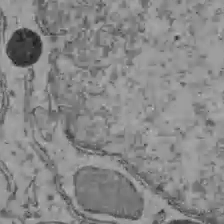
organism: C57BL Mouse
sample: Liver